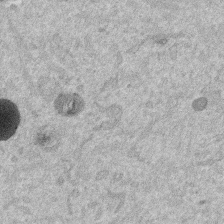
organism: Mouse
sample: Dividing mouse embryo 1 cell stage